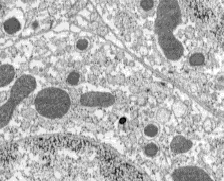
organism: C57BL Mouse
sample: Pancreatic islet